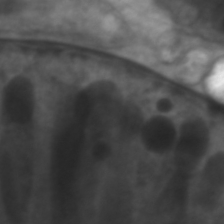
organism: C. elegans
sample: Pharynx